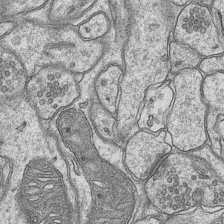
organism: Mouse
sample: CA1 Hippocampus